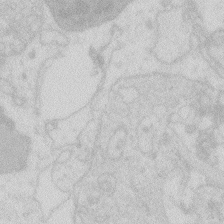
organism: Zebrafish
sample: Macrophage